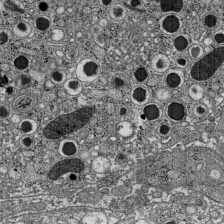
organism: C57BL Mouse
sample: Pancreatic islet